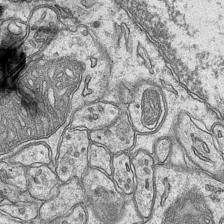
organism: Mouse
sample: CA1 Hippocampus